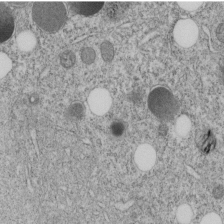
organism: C. elegans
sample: C. elegans embryo early stage